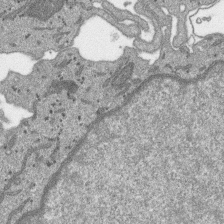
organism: Human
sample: Lung epithelial cells infected with SARS-CoV-2